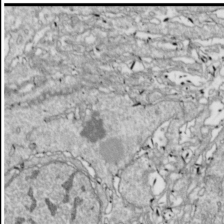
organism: Drosophila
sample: Cell division; meiosis; drosophila spermatocytes